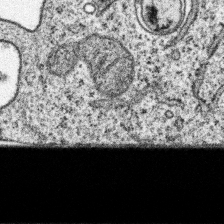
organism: Human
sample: HeLa cells